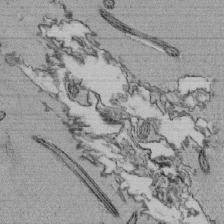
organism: Tetrahymena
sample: Cilia in tetrahymena